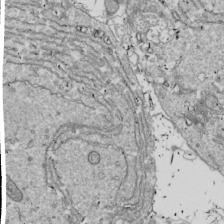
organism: Drosophila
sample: Cell division; meiosis; drosophila spermatocytes